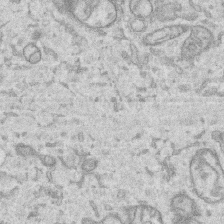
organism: Human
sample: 1205lu cells